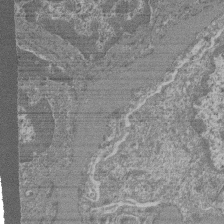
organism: Mouse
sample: Glomerulus